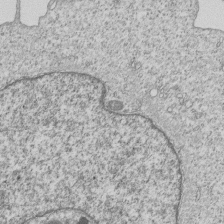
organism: Human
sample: MDA-MB-231 cells